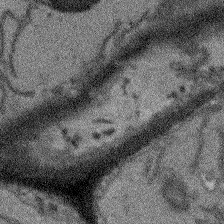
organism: Arabidopsis thaliana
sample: Root tip